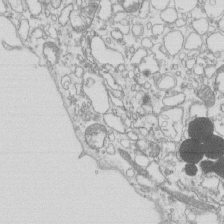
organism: Mouse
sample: Macrophages